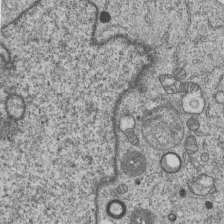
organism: Human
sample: MDA-MB-231 cells